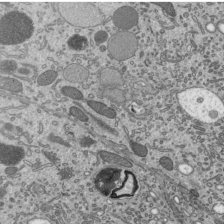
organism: Mouse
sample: Mouse epididymis efferent ductule cilia